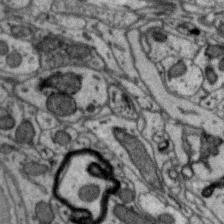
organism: Zebra finch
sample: Brain